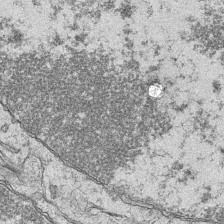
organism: Mouse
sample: CA1 Hippocampus